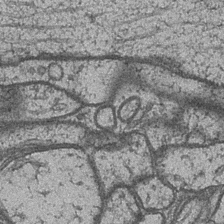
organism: Drosophila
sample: Optic medulla